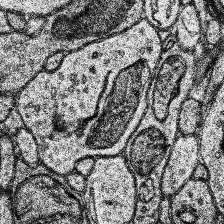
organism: Human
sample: Temporal Lobe